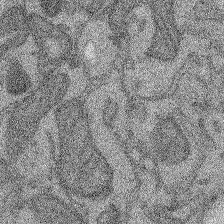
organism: Human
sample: HeLa cells